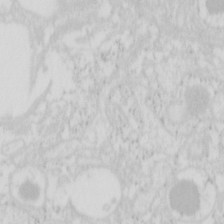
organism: Mouse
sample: Pancreas